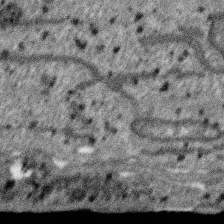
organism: Human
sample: Lung epithelial cells infected with SARS-CoV-2